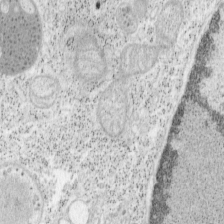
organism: Mouse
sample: OT-I killer T cells with ID8 ovarian cancer cells